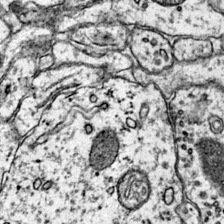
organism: Mouse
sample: Primary visual cortex